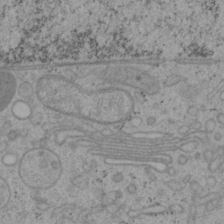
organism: Human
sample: HeLa cells